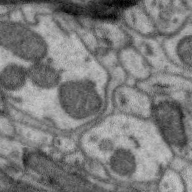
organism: Zebra finch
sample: Brain